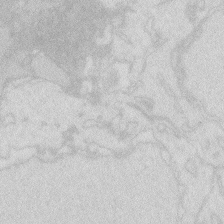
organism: Zebrafish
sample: Macrophage